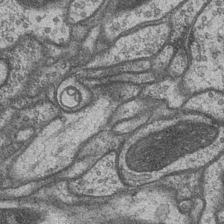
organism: Drosophila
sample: Optic medulla